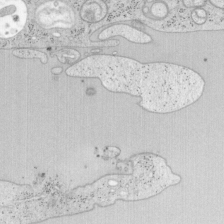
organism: Mouse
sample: OT-I killer T cells with ID8 ovarian cancer cells